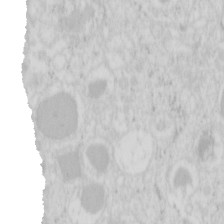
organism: Mouse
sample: Pancreas